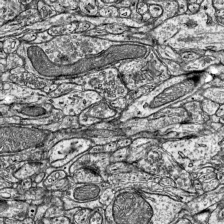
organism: Mouse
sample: Visual Cortex